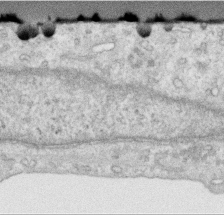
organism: Human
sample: Centriole in RPE cells